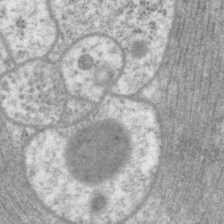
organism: P. pacificus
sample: Pharynx